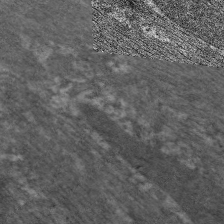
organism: C. elegans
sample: Pharynx